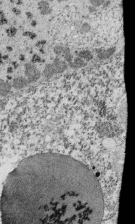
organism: Tetrahymena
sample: Cilia in tetrahymena